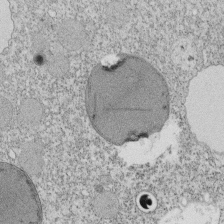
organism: Tetrahymena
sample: Cilia in tetrahymena